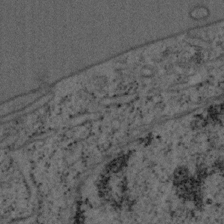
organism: Human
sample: HeLa cells